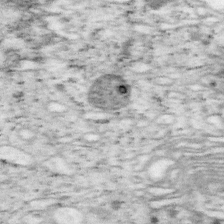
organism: Mouse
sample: OT-I killer T cells with ID8 ovarian cancer cells